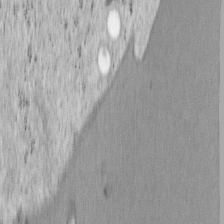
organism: Human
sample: HeLa cells